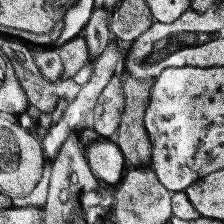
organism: Human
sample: Temporal Lobe